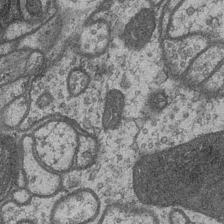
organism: Drosophila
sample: Optic medulla